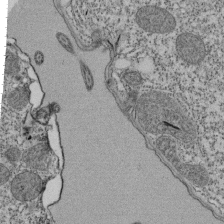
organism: Tetrahymena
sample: Cilia in tetrahymena